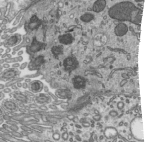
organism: Mouse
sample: Mouse epididymis efferent ductule cilia